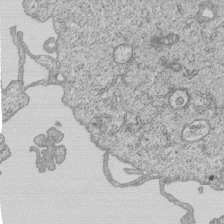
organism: Human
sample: MDA-MB-231 cells